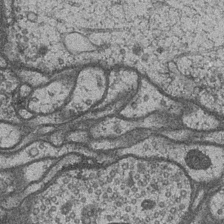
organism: Drosophila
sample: Optic medulla